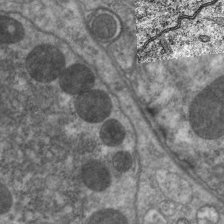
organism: C. elegans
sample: Pharynx